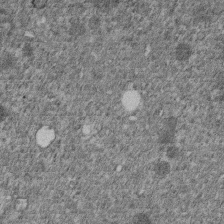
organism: C. elegans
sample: C. elegans embryo early stage